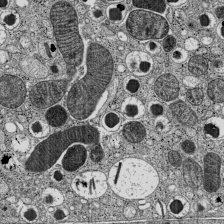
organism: C57BL Mouse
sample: Pancreatic islet